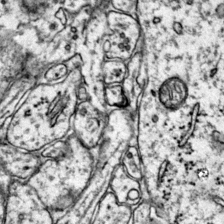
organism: Mouse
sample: Primary visual cortex